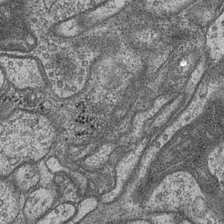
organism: Drosophila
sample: Optic medulla